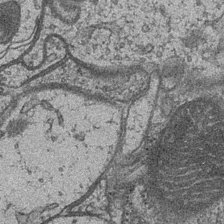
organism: Drosophila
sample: Optic medulla